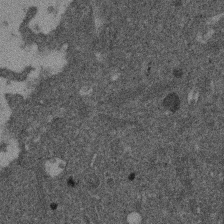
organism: Mouse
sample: Dividing mouse embryo 1 cell stage